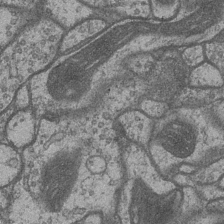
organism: Drosophila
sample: Optic medulla